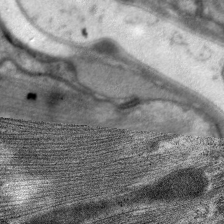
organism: C. elegans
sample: Pharynx